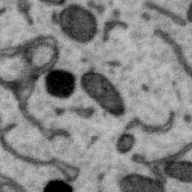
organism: Zebra finch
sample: Brain